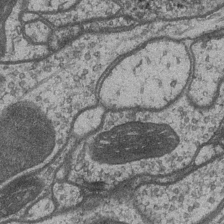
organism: Drosophila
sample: Optic medulla